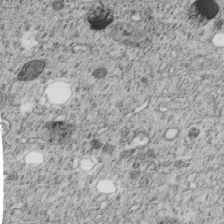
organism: C. elegans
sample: C. elegans embryo early stage